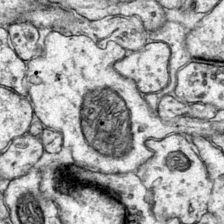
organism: Mouse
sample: Primary visual cortex